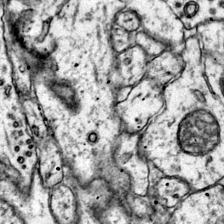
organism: Mouse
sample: Primary visual cortex